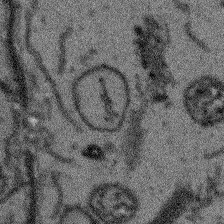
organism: Arabidopsis thaliana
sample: Root tip